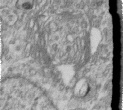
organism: Human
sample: Centriole in RPE cells